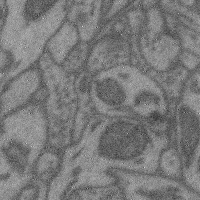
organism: Mouse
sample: Cerebral cortex